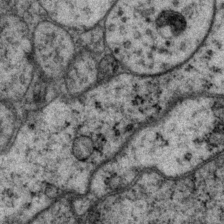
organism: P. pacificus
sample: Pharynx